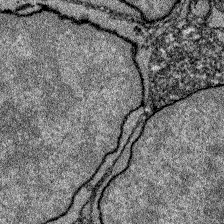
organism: Zebrafish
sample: Larval olfactory bulb